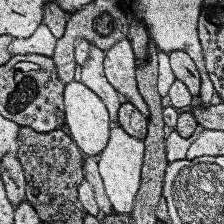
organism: Human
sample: Temporal Lobe